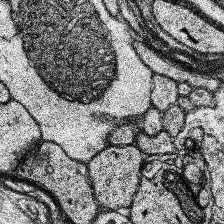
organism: Human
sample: Temporal Lobe